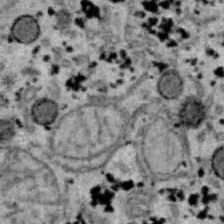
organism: Mouse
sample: Liver from an obese (ob/ob) mouse